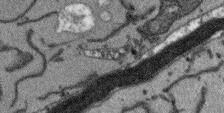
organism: Arabidopsis thaliana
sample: Root tip